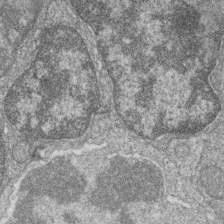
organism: Zebrafish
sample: Cilia; retinal pigment epithelium